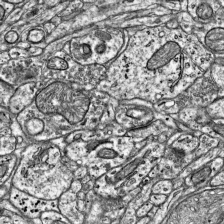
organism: Mouse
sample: Visual Cortex